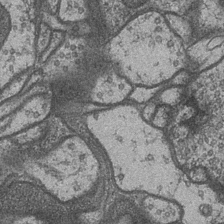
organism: Drosophila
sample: Optic medulla